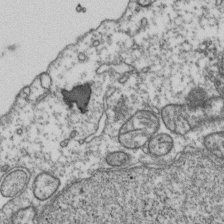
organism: Human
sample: Activated Jurkat CD4+ T cells